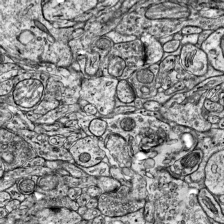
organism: Mouse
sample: Visual Cortex